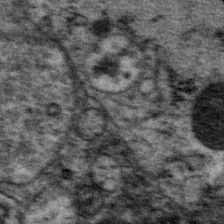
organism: P. pacificus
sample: Pharynx